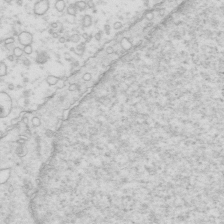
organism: Mouse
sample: Multiciliated cells